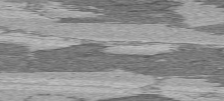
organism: C57BL Mouse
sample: Heart